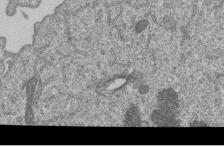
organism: Human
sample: MDA-MB-231 cells